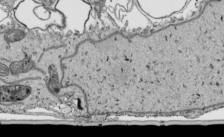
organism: Human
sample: Mitochondria in HCT116 cells